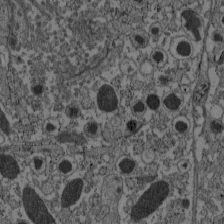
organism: C57BL Mouse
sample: Pancreatic islet